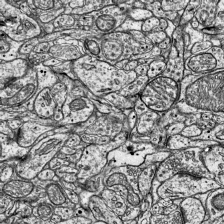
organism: Mouse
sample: Visual Cortex